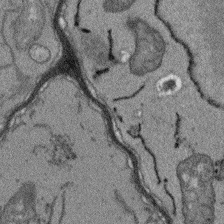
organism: Arabidopsis thaliana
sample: Root tip